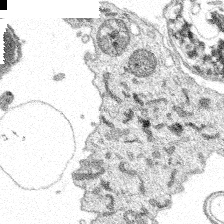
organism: Spongilla lacustris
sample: Multiple